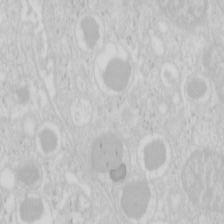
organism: Mouse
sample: Pancreas